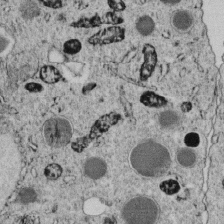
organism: C. elegans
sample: C. elegans embryo early stage